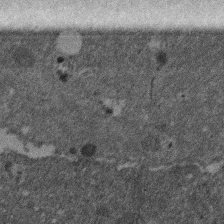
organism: Mouse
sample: Dividing mouse embryo 1 cell stage